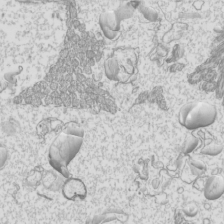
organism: Mouse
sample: Cilia; mouse epididymis